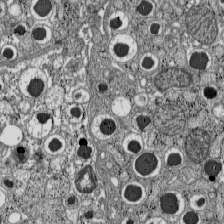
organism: C57BL Mouse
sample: Pancreatic islet